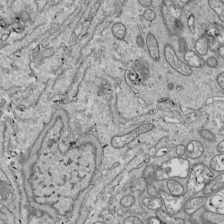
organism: Drosophila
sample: Cell division; meiosis; drosophila spermatocytes